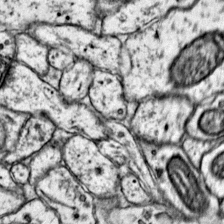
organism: Mouse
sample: Primary visual cortex